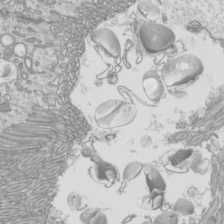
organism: Mouse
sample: Cilia; mouse epididymis